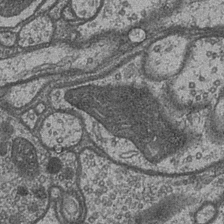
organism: Drosophila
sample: Optic medulla